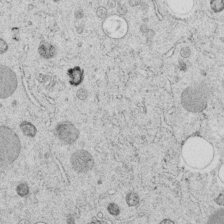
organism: C. elegans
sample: C. elegans embryo early stage